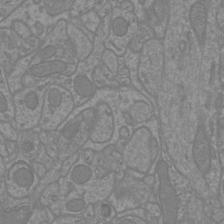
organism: Mouse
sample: Cortical neurons